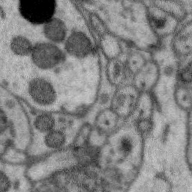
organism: Zebra finch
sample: Brain